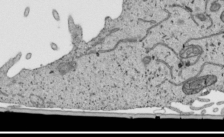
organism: Human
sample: Mitochondria in HCT116 cells